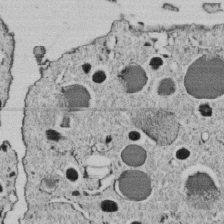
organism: C. elegans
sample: C. elegans embryo early stage